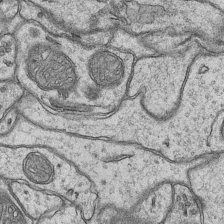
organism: Mouse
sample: CA1 Hippocampus